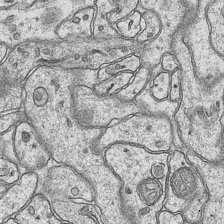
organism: Mouse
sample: CA1 Hippocampus